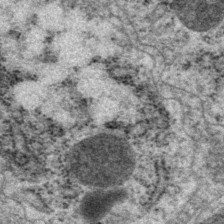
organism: P. pacificus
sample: Pharynx